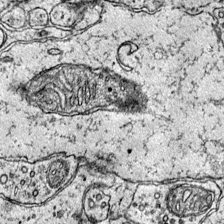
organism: Mouse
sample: Primary visual cortex